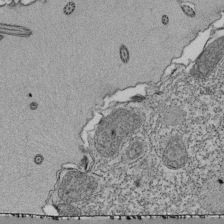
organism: Tetrahymena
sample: Cilia in tetrahymena